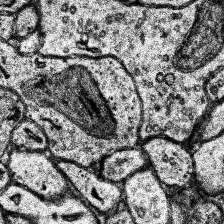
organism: Human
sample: Temporal Lobe